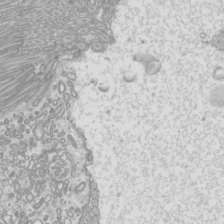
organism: Mouse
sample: Cilia; mouse epididymis